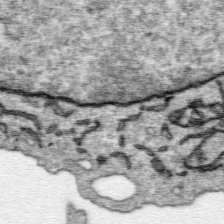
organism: Human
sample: HeLa cells